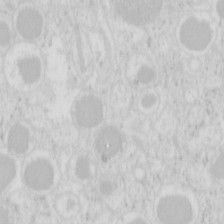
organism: Mouse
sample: Pancreas